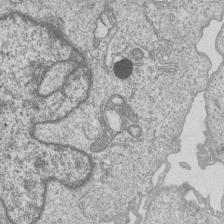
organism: Human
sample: MDA-MB-231 cells